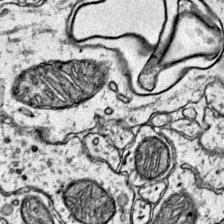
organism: Mouse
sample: Primary visual cortex